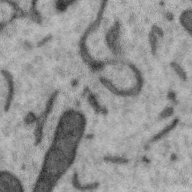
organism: Zebra finch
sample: Brain